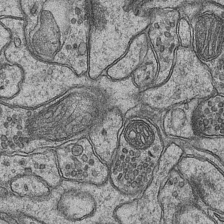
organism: Mouse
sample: CA1 Hippocampus